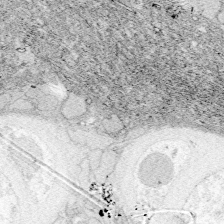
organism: Zebrafish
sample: Whole-Brain